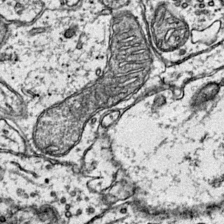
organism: Mouse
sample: Primary visual cortex